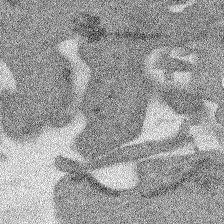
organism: Human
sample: HeLa cells